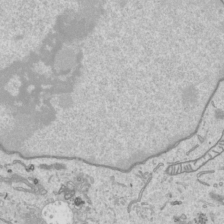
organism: Human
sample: Mitochondria in HCT116 cells